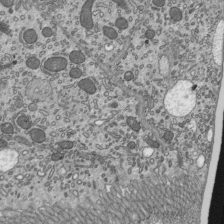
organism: Mouse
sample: Mouse epididymis efferent ductule cilia